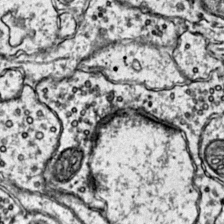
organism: Mouse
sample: Primary visual cortex